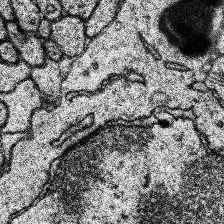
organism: Human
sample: Temporal Lobe